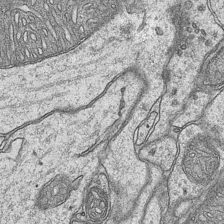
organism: Mouse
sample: CA1 Hippocampus